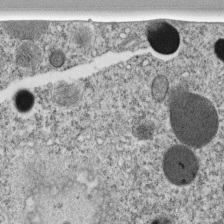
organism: C. elegans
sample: C. elegans embryo early stage